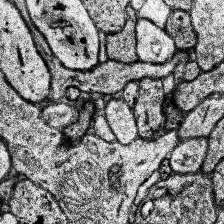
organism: Human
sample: Temporal Lobe